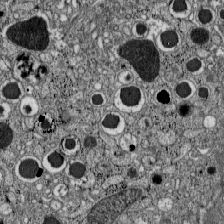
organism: C57BL Mouse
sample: Pancreatic islet